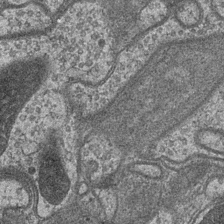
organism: Drosophila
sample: Optic medulla